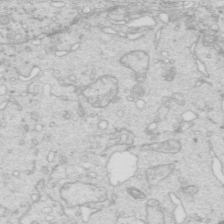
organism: Mouse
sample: Multiciliated cells